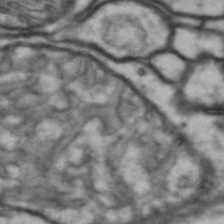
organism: Drosophila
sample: Brain